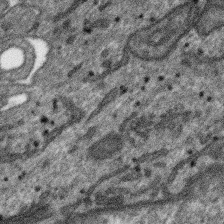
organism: Human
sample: Lung epithelial cells infected with SARS-CoV-2